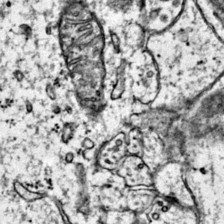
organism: Mouse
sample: Primary visual cortex